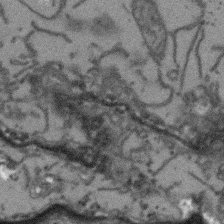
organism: Arabidopsis thaliana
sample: Root tip